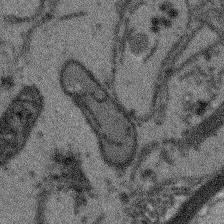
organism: Arabidopsis thaliana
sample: Root tip